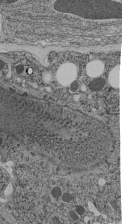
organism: C. elegans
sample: C. elegans pharynx